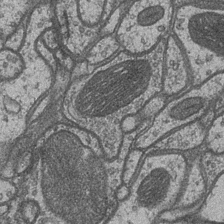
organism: Drosophila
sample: Optic medulla